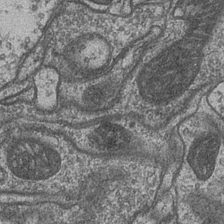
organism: Drosophila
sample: Optic medulla